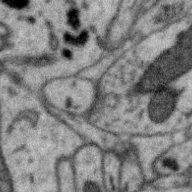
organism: Zebra finch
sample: Brain